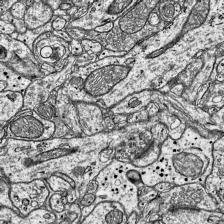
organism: Mouse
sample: Visual Cortex